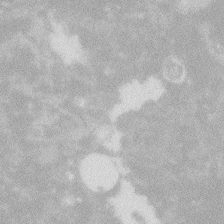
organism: Zebrafish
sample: Macrophage